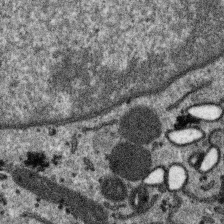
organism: Human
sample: Lung epithelial cells infected with SARS-CoV-2